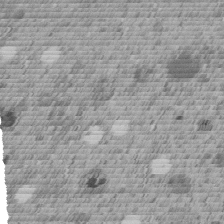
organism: C. elegans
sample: C. elegans embryo early stage